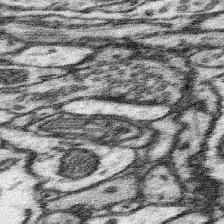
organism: Mouse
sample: Somatosensory cortex neuropil